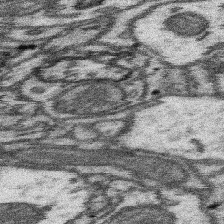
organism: Mouse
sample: Somatosensory cortex neuropil